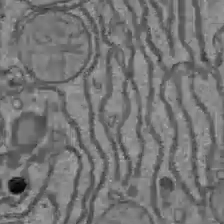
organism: C57BL Mouse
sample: Liver